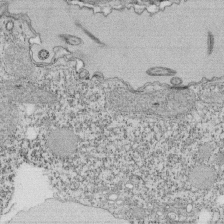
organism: Tetrahymena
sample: Cilia in tetrahymena